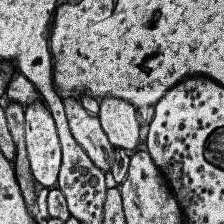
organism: Human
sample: Temporal Lobe